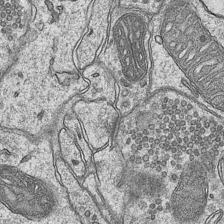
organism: Mouse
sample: CA1 Hippocampus